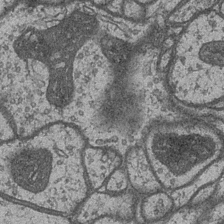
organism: Drosophila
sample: Optic medulla